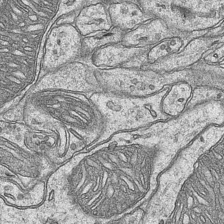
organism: Mouse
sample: CA1 Hippocampus